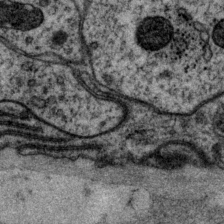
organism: P. pacificus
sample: Pharynx